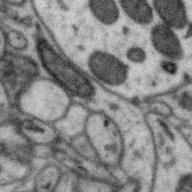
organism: Zebra finch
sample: Brain